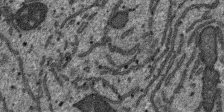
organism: Human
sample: Lung epithelial cells infected with SARS-CoV-2